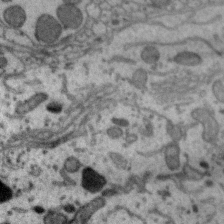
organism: Zebra finch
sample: Brain